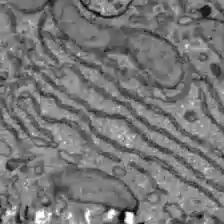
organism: C57BL Mouse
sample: Liver